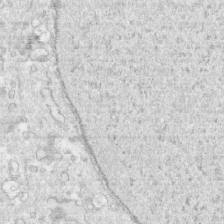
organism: Human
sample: CRL-1474